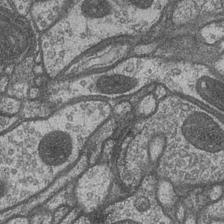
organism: Drosophila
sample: Optic medulla